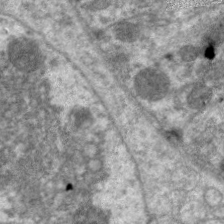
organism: C. elegans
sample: Pharynx